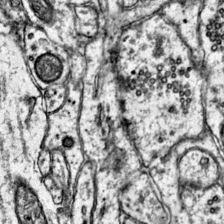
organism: Mouse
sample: Primary visual cortex